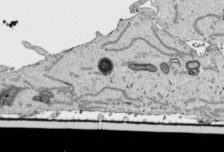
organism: Human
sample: Mitochondria in HCT116 cells